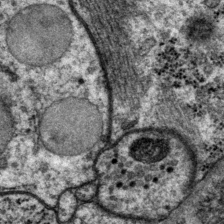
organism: P. pacificus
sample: Pharynx